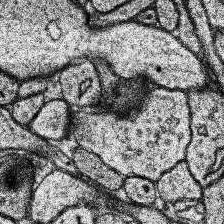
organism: Human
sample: Temporal Lobe